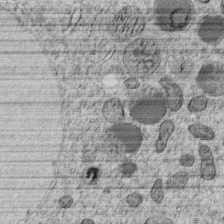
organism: C. elegans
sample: C. elegans embryo early stage